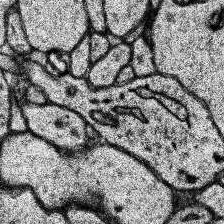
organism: Human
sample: Temporal Lobe